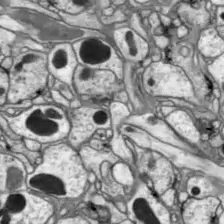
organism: Drosophila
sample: Optic lobe